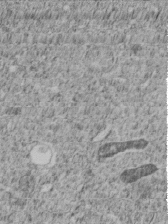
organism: C. elegans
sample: C. elegans embryo early stage